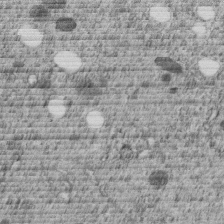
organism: C. elegans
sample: C. elegans embryo early stage